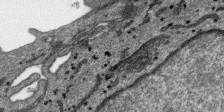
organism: Human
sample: Lung epithelial cells, uninfected (mock) control